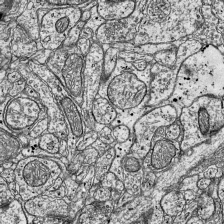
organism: Mouse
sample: Visual Cortex